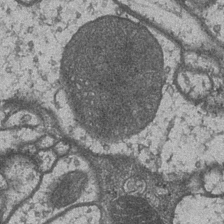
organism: Drosophila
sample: Optic medulla